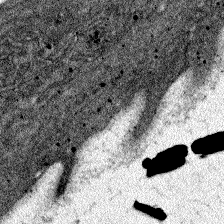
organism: Zebrafish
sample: Larval olfactory bulb